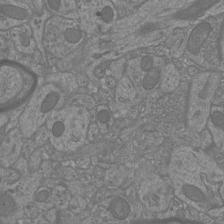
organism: Mouse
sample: Cortical neurons